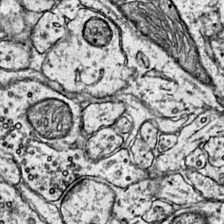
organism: Mouse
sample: Primary visual cortex